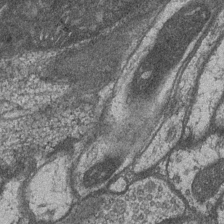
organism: Drosophila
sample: Optic medulla